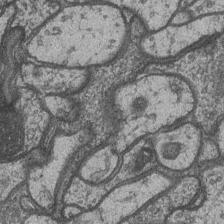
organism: Drosophila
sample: Optic medulla